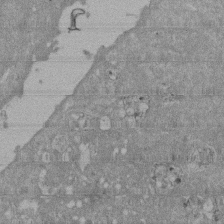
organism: Mouse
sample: ED-1 cell nuclei; centrioles